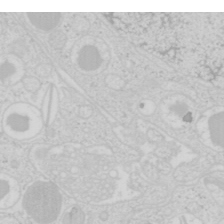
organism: Mouse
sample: Pancreas